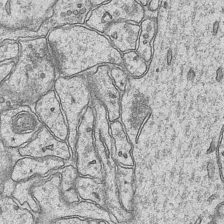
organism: Mouse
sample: CA1 Hippocampus